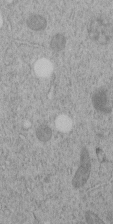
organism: C. elegans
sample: C. elegans embryo early stage